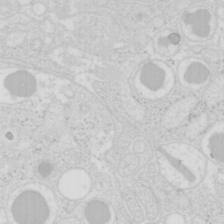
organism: Mouse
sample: Pancreas